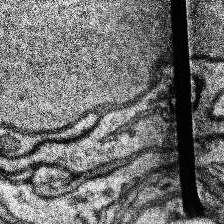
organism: Human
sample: Temporal Lobe